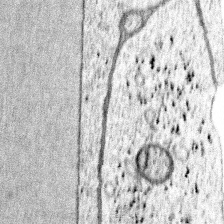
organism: Human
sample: HeLa cells